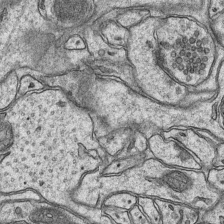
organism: Mouse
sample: CA1 Hippocampus